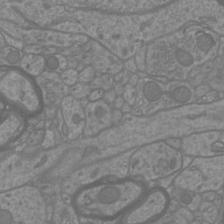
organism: Mouse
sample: Cortical neurons